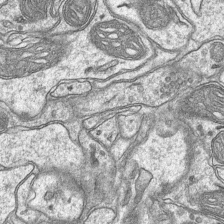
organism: Mouse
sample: CA1 Hippocampus